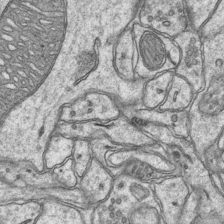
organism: Mouse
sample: CA1 Hippocampus